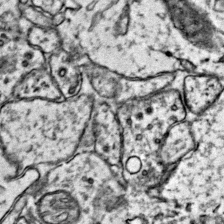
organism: Mouse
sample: Primary visual cortex